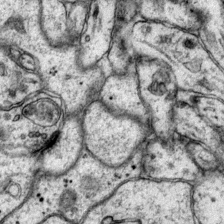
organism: Mouse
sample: Primary visual cortex